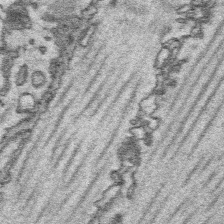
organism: Platynereis dumerilii